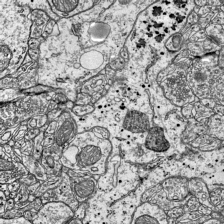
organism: Mouse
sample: Visual Cortex